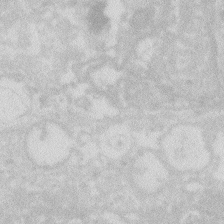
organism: Zebrafish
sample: Macrophage